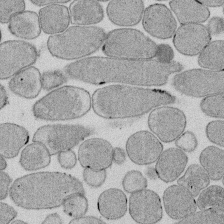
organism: E. coli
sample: Bacterial nucleoid